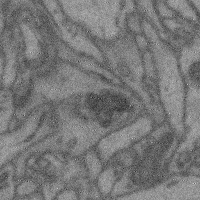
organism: Mouse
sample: Cerebral cortex